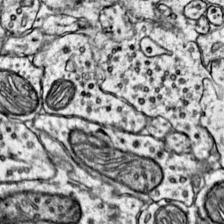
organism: Mouse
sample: Primary visual cortex